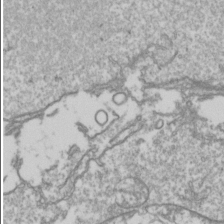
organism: Drosophila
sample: Cell division; meiosis; drosophila spermatocytes